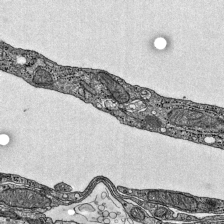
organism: Mouse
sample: Visual Cortex